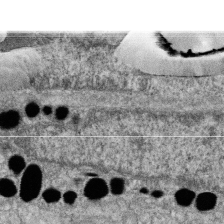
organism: Zebrafish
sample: Cilia; retinal pigment epithelium